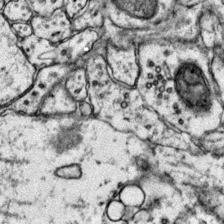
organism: Mouse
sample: Primary visual cortex